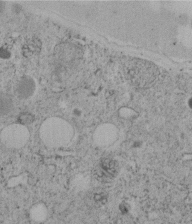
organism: C. elegans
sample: C. elegans embryo early stage